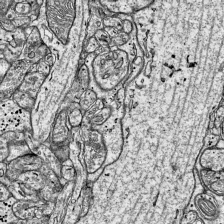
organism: Mouse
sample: Visual Cortex